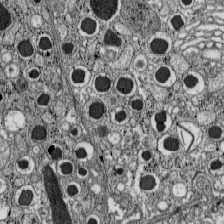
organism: C57BL Mouse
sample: Pancreatic islet